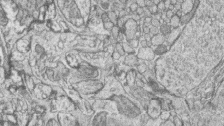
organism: Zebrafish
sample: synaptic ribbons in rod cells and cone cells